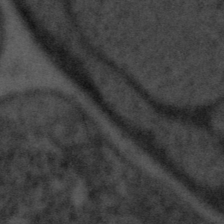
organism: Tuwongella immobilis